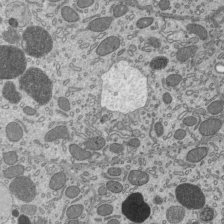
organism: Mouse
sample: Mouse epididymis efferent ductule cilia